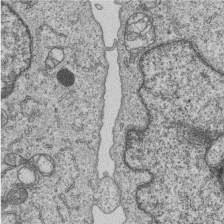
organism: Human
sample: MDA-MB-231 cells